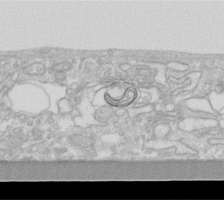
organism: Human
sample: Fibroblast cells